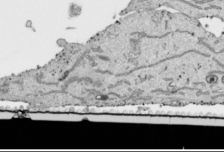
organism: Human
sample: Mitochondria in HCT116 cells